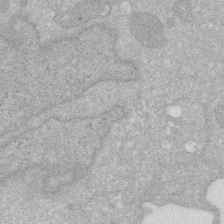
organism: Human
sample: HIV infected U937 cells